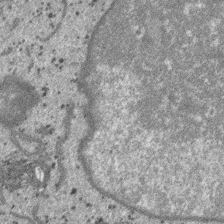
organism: Human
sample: Lung epithelial cells infected with SARS-CoV-2